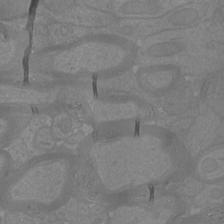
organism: Mouse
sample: Cortical neurons